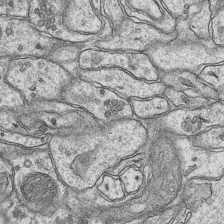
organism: Mouse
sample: CA1 Hippocampus